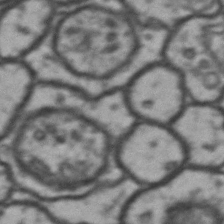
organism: Drosophila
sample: Brain